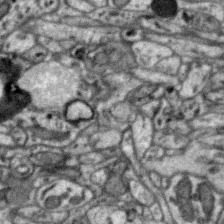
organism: Zebra finch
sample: Brain